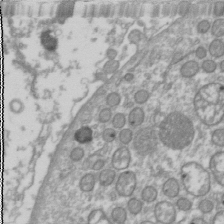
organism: Drosophila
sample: Cell division; meiosis; drosophila spermatocytes